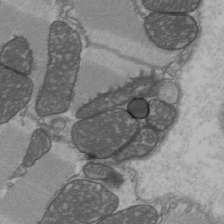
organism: C57BL Mouse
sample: Heart